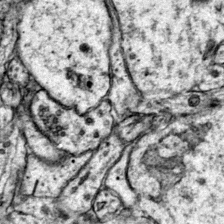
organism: Mouse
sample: Primary visual cortex